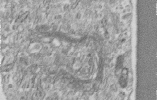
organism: Human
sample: Centriole in RPE cells